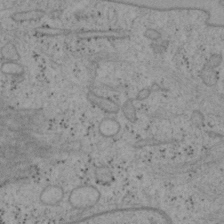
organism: Human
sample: HeLa cells